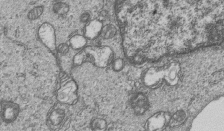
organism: Human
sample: MDA-MB-231 cells